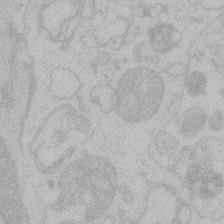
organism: Zebrafish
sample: Macrophage infected with Toxoplasma gondii